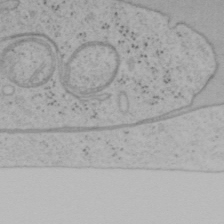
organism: Human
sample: HeLa cells